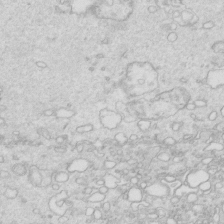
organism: Mouse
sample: Multiciliated cells